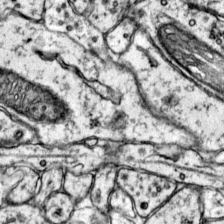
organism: Mouse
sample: Primary visual cortex